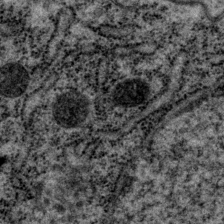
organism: P. pacificus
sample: Pharynx